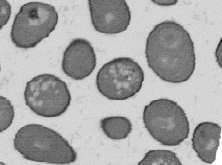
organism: B. subtilis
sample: Bacterial spore